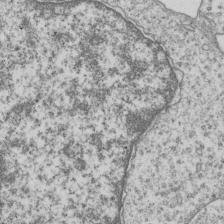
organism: Human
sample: MDA-MB-231 cells